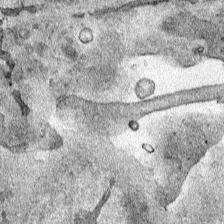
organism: Human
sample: Mitochondria in HCT116 cells